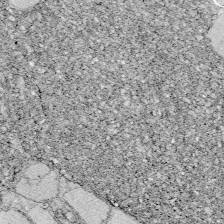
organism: Zebrafish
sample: Whole-Brain